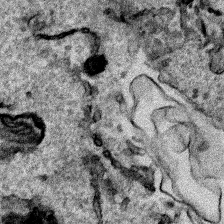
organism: Human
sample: Mitochondria in HCT116 cells